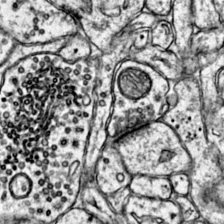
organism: Mouse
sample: Primary visual cortex